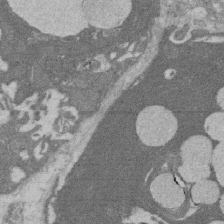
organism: Rat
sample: Salivary granule